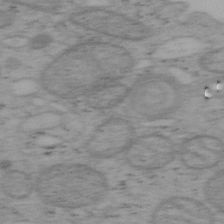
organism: Mouse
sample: OT-I killer T cells with ID8 ovarian cancer cells